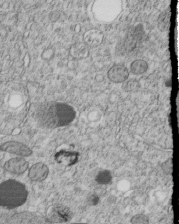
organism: C. elegans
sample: C. elegans embryo early stage